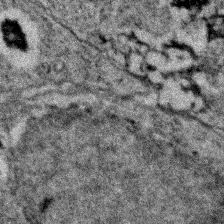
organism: Zebrafish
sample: Zebrafish embryo